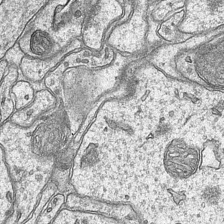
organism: Mouse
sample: CA1 Hippocampus